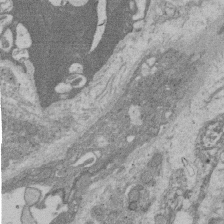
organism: Rat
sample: Salivary granule